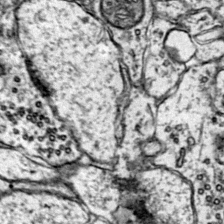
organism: Mouse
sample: Primary visual cortex